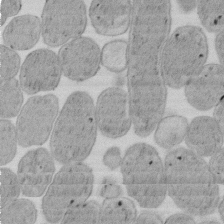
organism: E. coli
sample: Bacterial nucleoid